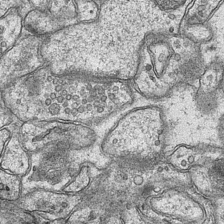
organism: Mouse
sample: CA1 Hippocampus